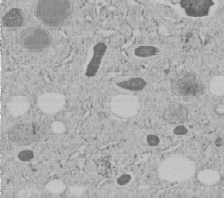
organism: C. elegans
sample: C. elegans embryo early stage